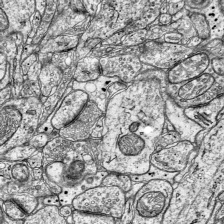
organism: Mouse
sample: Visual Cortex